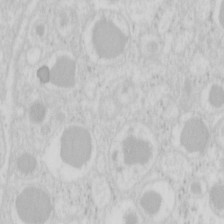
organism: Mouse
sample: Pancreas